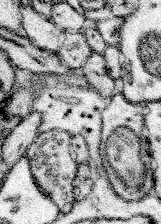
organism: Mouse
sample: Somatosensory cortex neuropil